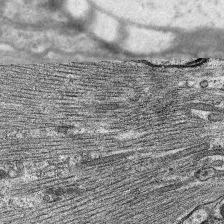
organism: C. elegans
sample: Pharynx